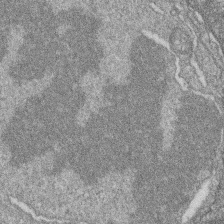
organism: Zebrafish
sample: Cilia; retinal pigment epithelium